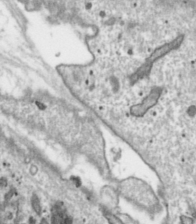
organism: Toxoplasma gondii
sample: Parasites in a vacuole inside a host cell